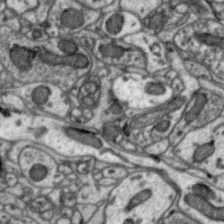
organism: Zebra finch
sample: Brain